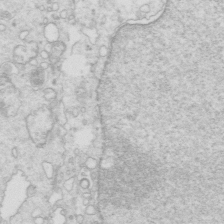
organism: Mouse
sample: Multiciliated cells